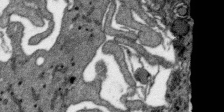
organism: Human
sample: Lung epithelial cells, uninfected (mock) control